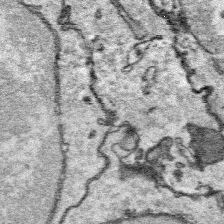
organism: Platynereis dumerilii